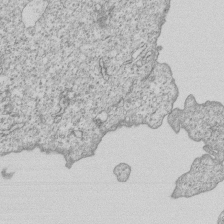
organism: Human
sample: MDA-MB-231 cells